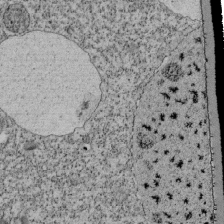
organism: Tetrahymena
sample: Cilia in tetrahymena